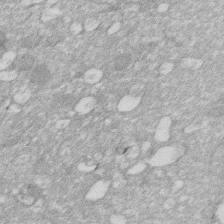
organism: Human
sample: HIV infected U937 cells